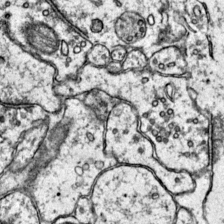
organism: Mouse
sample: Primary visual cortex